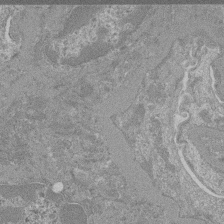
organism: Mouse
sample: Glomerulus